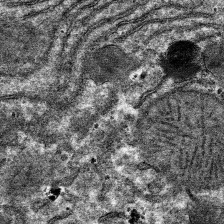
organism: Mouse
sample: Mouse hepatocytes